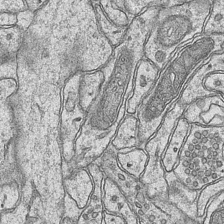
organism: Mouse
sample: CA1 Hippocampus